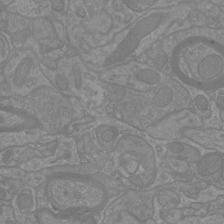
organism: Mouse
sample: Cortical neurons